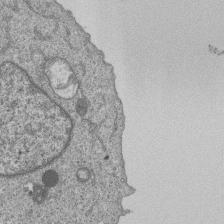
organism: Human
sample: MDA-MB-231 cells